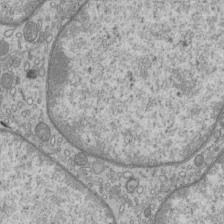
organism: Mouse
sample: Cilia; mouse epididymis